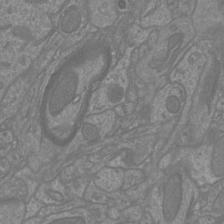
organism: Mouse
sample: Cortical neurons